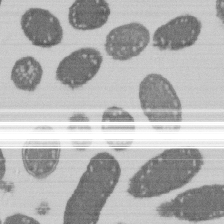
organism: E. coli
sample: Bacterial nucleoid